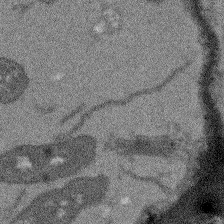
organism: Arabidopsis thaliana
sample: Root tip